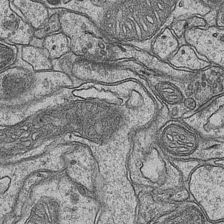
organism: Mouse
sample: CA1 Hippocampus